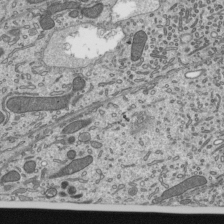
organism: Mouse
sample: Mouse epididymis efferent ductule cilia